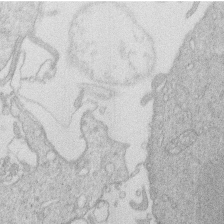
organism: Human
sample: Macrophage cells